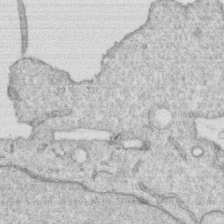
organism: Human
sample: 1205lu cells